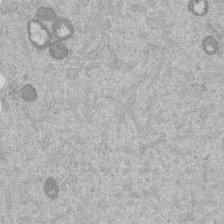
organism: Mouse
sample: Dividing mouse embryo 1 cell stage